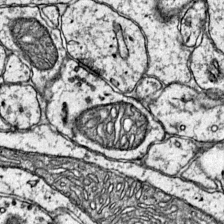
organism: Mouse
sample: Primary visual cortex